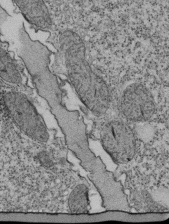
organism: Tetrahymena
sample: Cilia in tetrahymena